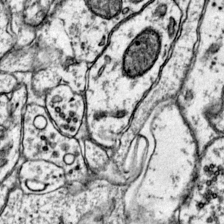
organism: Mouse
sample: Primary visual cortex